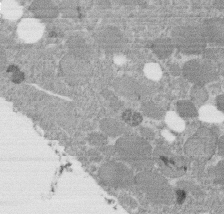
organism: C. elegans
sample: C. elegans embryo early stage